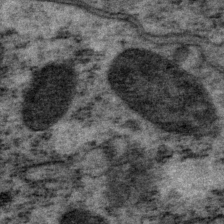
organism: P. pacificus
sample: Pharynx